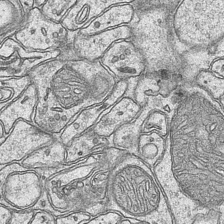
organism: Mouse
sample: CA1 Hippocampus